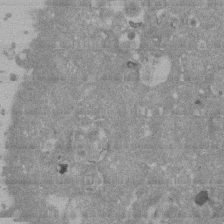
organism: Mouse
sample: ED-1 cell nuclei; centrioles